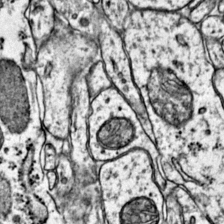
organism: Mouse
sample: Primary visual cortex